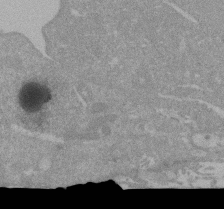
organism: Mouse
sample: ED-1 cell nuclei; centrioles